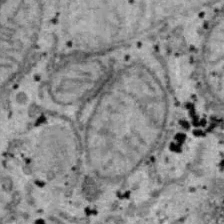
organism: Mouse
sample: Liver from an obese (ob/ob) mouse